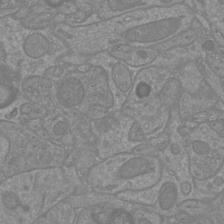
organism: Mouse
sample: Cortical neurons